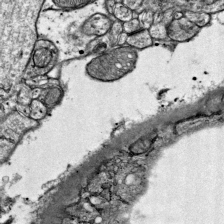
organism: Mouse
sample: Visual Cortex